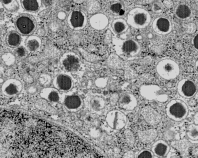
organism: C57BL Mouse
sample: Pancreatic islet